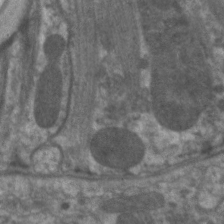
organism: C. elegans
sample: Pharynx